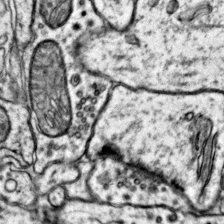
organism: Mouse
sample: Primary visual cortex